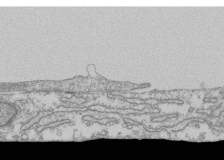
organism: Human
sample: Fibroblast cells